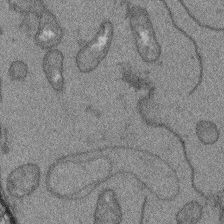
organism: Arabidopsis thaliana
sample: Root tip